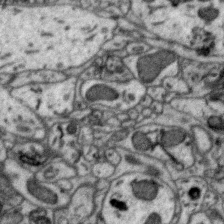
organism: Zebra finch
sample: Brain